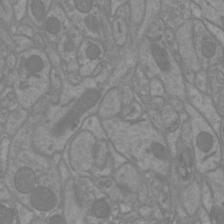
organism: Mouse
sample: Cortical neurons